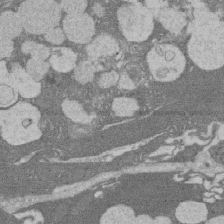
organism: Rat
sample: Salivary granule